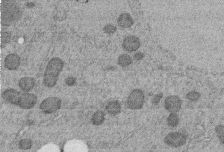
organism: C. elegans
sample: C. elegans embryo early stage